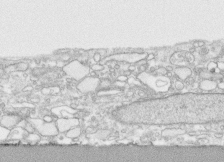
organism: Human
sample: CRL-1474